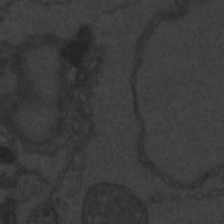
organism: Zebrafish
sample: Macrophage infected with Toxoplasma gondii